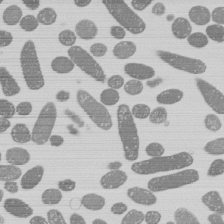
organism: E. coli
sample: Bacterial nucleoid